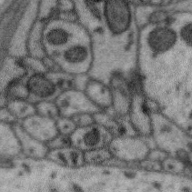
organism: Zebra finch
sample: Brain